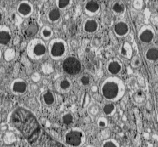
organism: C57BL Mouse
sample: Pancreatic islet